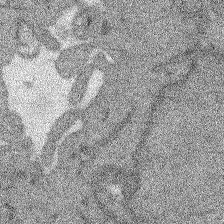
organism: Human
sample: HeLa cells